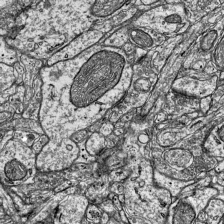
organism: Mouse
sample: Visual Cortex